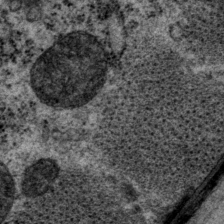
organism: P. pacificus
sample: Pharynx